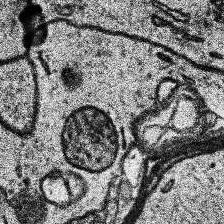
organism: Human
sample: Temporal Lobe